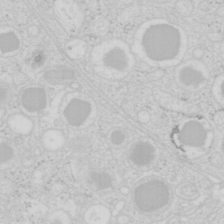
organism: Mouse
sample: Pancreas